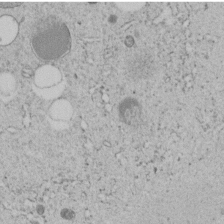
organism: C. elegans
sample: C. elegans embryo early stage